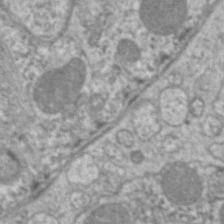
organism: C. elegans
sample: Pharynx